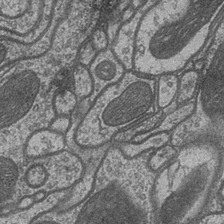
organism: Drosophila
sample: Optic medulla